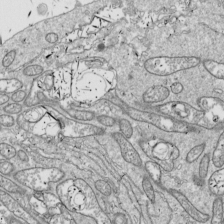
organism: Drosophila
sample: Cell division; meiosis; drosophila spermatocytes